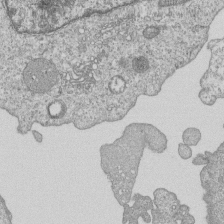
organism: Human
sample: MDA-MB-231 cells